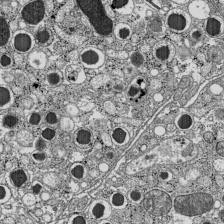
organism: C57BL Mouse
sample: Pancreatic islet